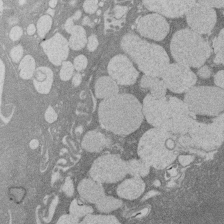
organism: Rat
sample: Salivary granule